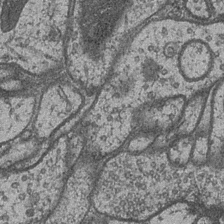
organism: Drosophila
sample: Optic medulla